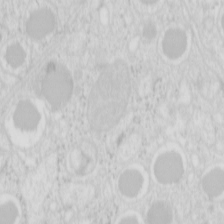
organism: Mouse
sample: Pancreas